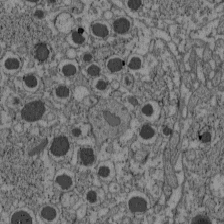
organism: C57BL Mouse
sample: Pancreatic islet